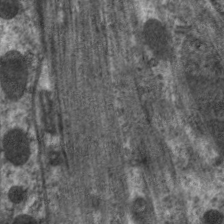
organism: C. elegans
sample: Pharynx